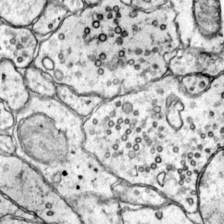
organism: Mouse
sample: Primary visual cortex